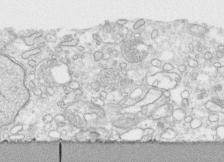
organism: Human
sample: CRL-1474